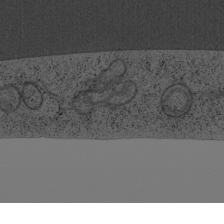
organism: African green monkey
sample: COS-7 cells